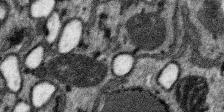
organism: Human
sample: Lung epithelial cells infected with SARS-CoV-2